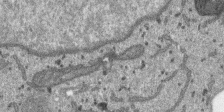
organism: Human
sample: Lung epithelial cells infected with SARS-CoV-2